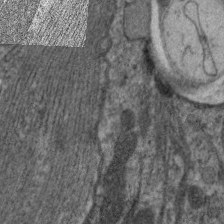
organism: C. elegans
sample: Pharynx